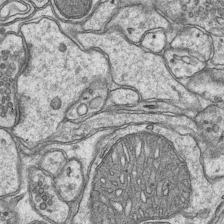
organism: Mouse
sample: CA1 Hippocampus